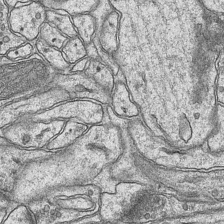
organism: Mouse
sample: CA1 Hippocampus